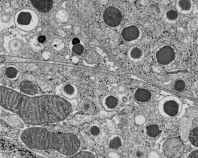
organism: C57BL Mouse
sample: Pancreatic islet